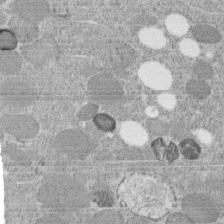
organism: C. elegans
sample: C. elegans embryo early stage